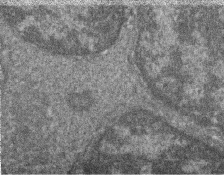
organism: Zebrafish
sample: Cilia; retinal pigment epithelium